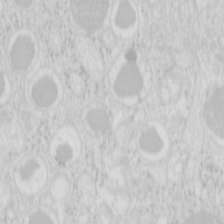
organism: Mouse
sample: Pancreas